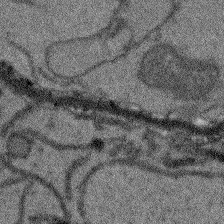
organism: Arabidopsis thaliana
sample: Root tip